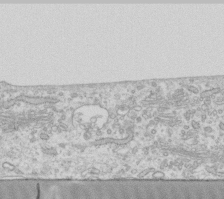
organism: Human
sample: Fibroblast cells